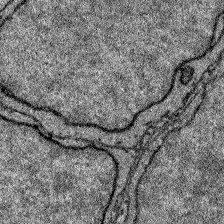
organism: Zebrafish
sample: Larval olfactory bulb